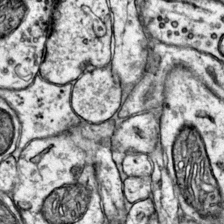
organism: Mouse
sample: Primary visual cortex